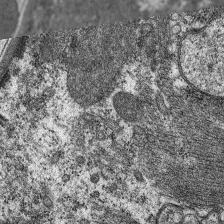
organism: C. elegans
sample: Pharynx